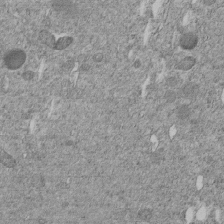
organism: C. elegans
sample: C. elegans embryo early stage